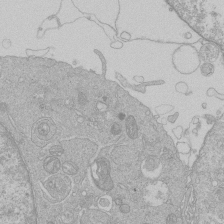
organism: Human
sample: Macrophage cells